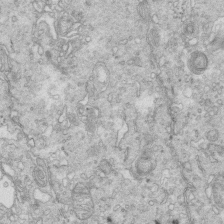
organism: Mouse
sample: Multiciliated cells